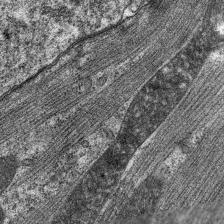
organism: C. elegans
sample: Pharynx